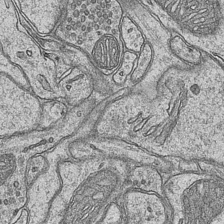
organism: Mouse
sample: CA1 Hippocampus